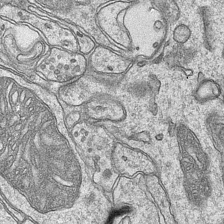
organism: Mouse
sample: CA1 Hippocampus